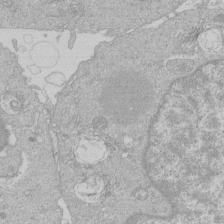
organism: Human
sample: Macrophage cells